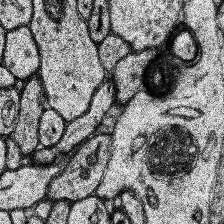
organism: Human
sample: Temporal Lobe